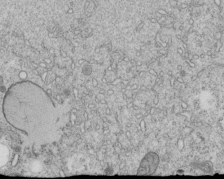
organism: C. elegans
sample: C. elegans embryo early stage